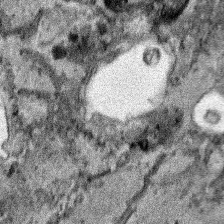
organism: Human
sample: Mitochondria in HCT116 cells